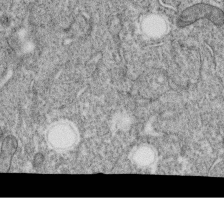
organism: C. elegans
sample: C. elegans oocyte; sperm cells